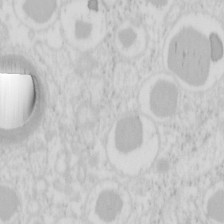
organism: Mouse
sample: Pancreas